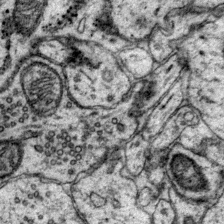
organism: Mouse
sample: Primary visual cortex